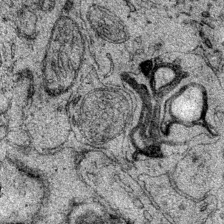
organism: Mouse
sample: Primary visual cortex